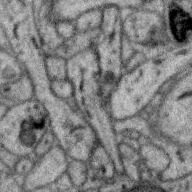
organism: Zebra finch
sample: Brain